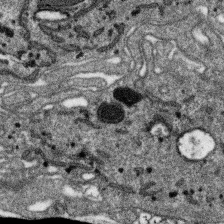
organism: Human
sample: Lung epithelial cells infected with SARS-CoV-2